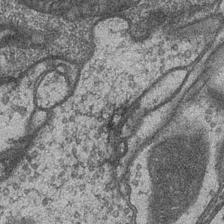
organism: Drosophila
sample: Optic medulla